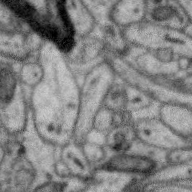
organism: Zebra finch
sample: Brain